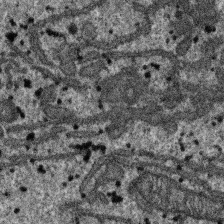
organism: Human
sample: Lung epithelial cells infected with SARS-CoV-2